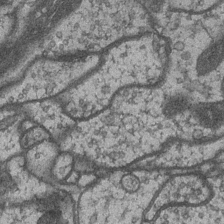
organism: Drosophila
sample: Optic medulla